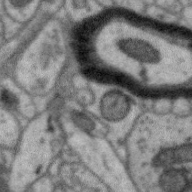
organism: Zebra finch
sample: Brain